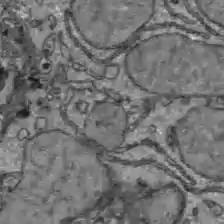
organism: C57BL Mouse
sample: Liver